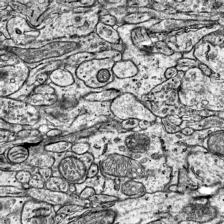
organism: Mouse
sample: Visual Cortex